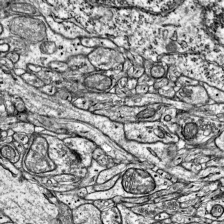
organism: Mouse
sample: Visual Cortex